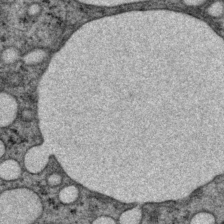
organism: P. pacificus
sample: Pharynx